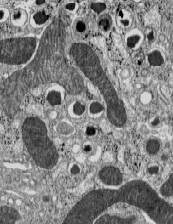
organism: C57BL Mouse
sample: Pancreatic islet